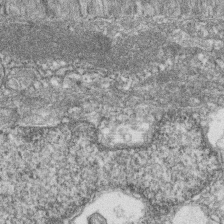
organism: Zebrafish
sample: Cilia; retinal pigment epithelium